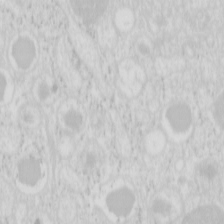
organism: Mouse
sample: Pancreas